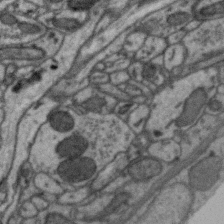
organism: Zebra finch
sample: Brain